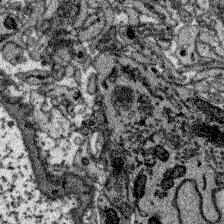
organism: Zebrafish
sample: Larval olfactory bulb